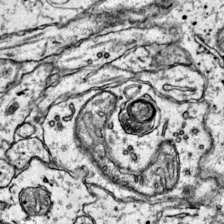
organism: Mouse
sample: Primary visual cortex